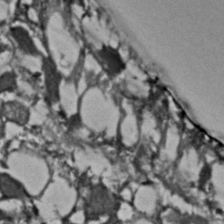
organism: C. elegans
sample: C. elegans embryo